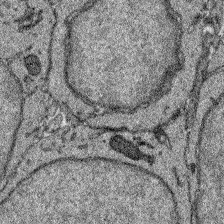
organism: Zebrafish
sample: Larval olfactory bulb